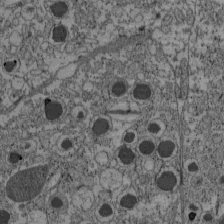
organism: C57BL Mouse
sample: Pancreatic islet